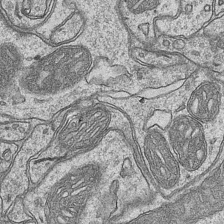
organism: Mouse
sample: CA1 Hippocampus